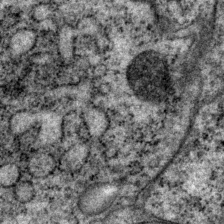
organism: P. pacificus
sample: Pharynx